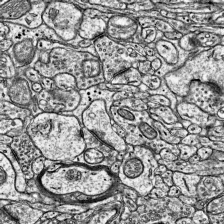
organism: Mouse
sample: Visual Cortex